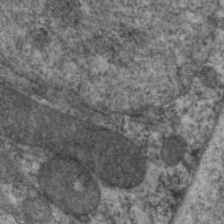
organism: C. elegans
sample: Pharynx